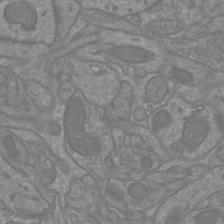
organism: Mouse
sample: Cortical neurons